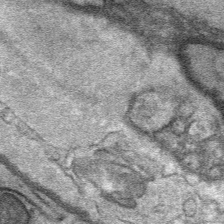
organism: Mouse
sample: Mouse Salivary gland